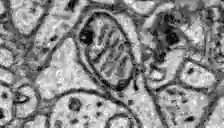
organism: Zebrafish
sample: Brain